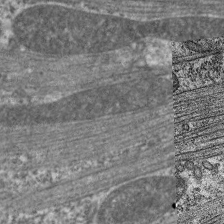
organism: C. elegans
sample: Pharynx